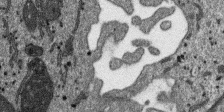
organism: Human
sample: Lung epithelial cells infected with SARS-CoV-2